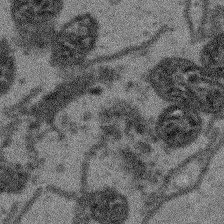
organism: Arabidopsis thaliana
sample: Root tip